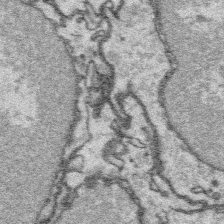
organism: Platynereis dumerilii